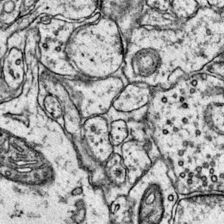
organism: Mouse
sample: Primary visual cortex